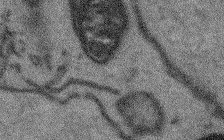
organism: Arabidopsis thaliana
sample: Root tip